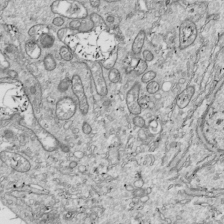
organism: Drosophila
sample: Cell division; meiosis; drosophila spermatocytes